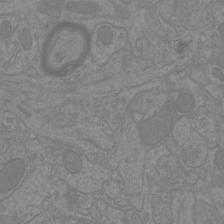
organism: Mouse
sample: Cortical neurons